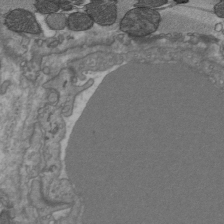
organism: C57BL Mouse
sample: Heart